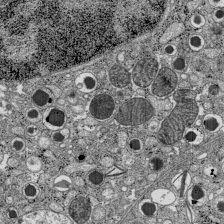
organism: C57BL Mouse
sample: Pancreatic islet